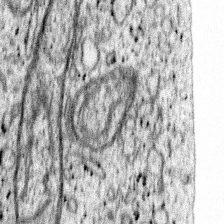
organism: Human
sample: HeLa cells